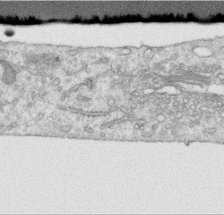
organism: Human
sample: Centriole in RPE cells